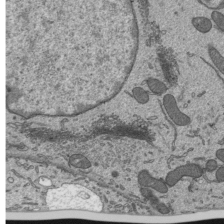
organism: Mouse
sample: Mouse epididymis efferent ductule cilia